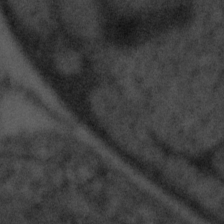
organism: Tuwongella immobilis